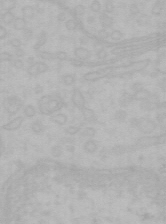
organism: Mouse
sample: Choroid plexus